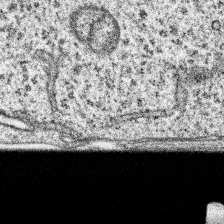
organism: Human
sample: HeLa cells